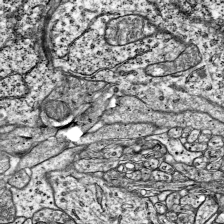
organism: Mouse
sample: Visual Cortex